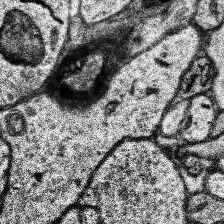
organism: Human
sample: Temporal Lobe